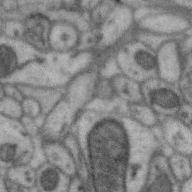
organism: Zebra finch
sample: Brain